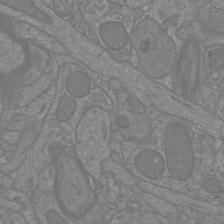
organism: Mouse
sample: Cortical neurons